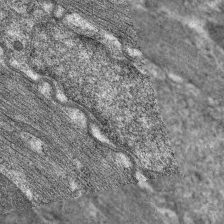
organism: C. elegans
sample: Pharynx